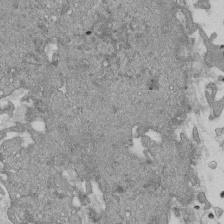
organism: Mouse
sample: ED-1 cell nuclei; centrioles